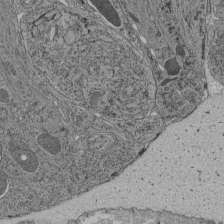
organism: C. elegans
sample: C. elegans pharynx